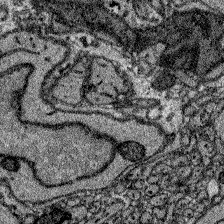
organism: Zebrafish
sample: Larval olfactory bulb